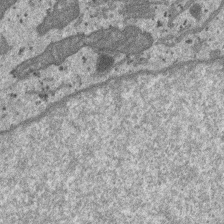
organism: Human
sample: Lung epithelial cells infected with SARS-CoV-2